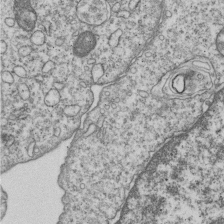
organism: Human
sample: MDA-MB-231 cells